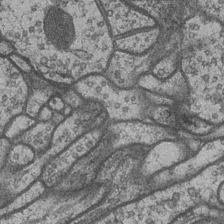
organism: Drosophila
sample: Optic medulla